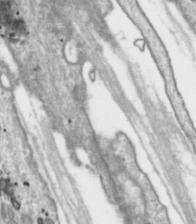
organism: Toxoplasma gondii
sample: Parasites in a vacuole inside a host cell